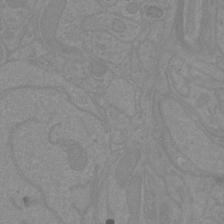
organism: Mouse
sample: Cortical neurons